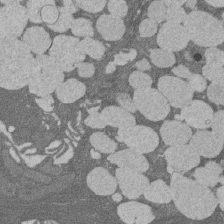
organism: Rat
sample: Salivary granule